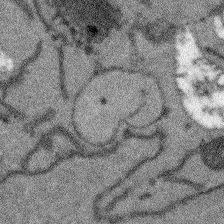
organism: Arabidopsis thaliana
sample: Root tip